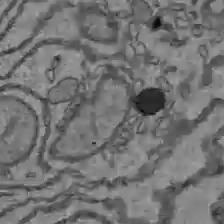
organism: C57BL Mouse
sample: Liver